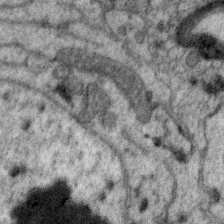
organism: Zebra finch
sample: Brain